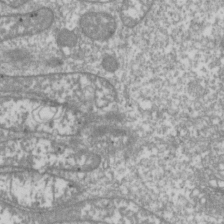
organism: Drosophila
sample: Cell division; meiosis; drosophila spermatocytes